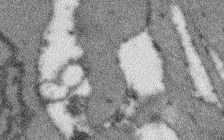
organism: Arabidopsis thaliana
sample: Root tip